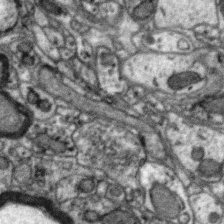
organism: Zebra finch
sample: Brain